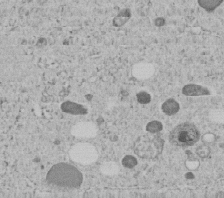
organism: C. elegans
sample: C. elegans embryo early stage